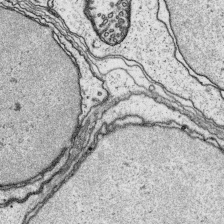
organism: Platynereis dumerilii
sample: Parapodia